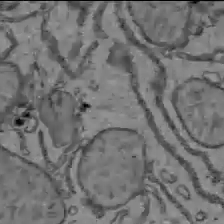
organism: C57BL Mouse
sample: Liver